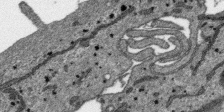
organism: Human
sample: Lung epithelial cells, uninfected (mock) control